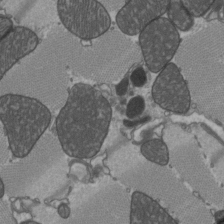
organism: C57BL Mouse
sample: Heart